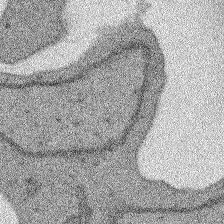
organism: Human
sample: HeLa cells